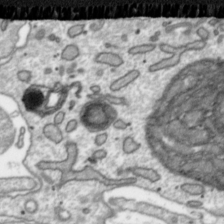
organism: Toxoplasma gondii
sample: Parasites in a vacuole inside a host cell